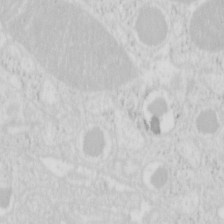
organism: Mouse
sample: Pancreas